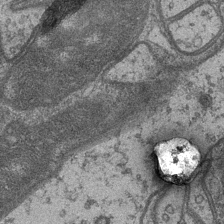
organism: Drosophila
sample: Optic medulla